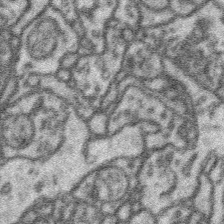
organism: Platynereis dumerilii